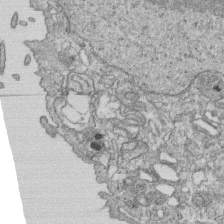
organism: Human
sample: HeLa cell HIV synapse